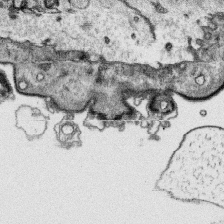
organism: Platynereis dumerilii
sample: Parapodia